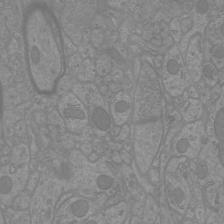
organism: Mouse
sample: Cortical neurons